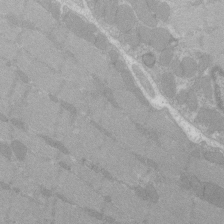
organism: C57BL Mouse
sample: Tibialis anterior muscle cell